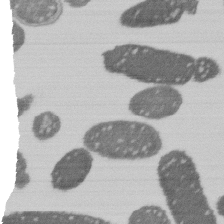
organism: E. coli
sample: Bacterial nucleoid